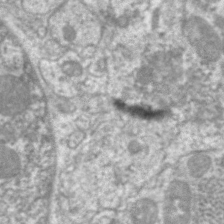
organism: C. elegans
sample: Pharynx